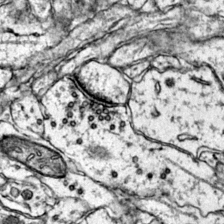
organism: Mouse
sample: Primary visual cortex